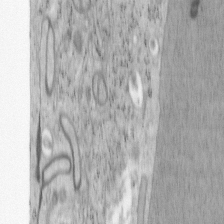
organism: Human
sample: HeLa cells